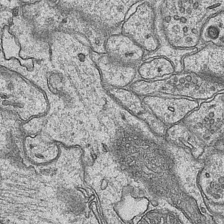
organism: Mouse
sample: CA1 Hippocampus